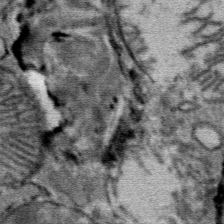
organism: Mouse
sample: Mouse Salivary gland